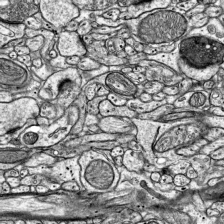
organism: Mouse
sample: Visual Cortex